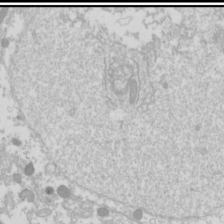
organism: Drosophila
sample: Cell division; meiosis; drosophila spermatocytes